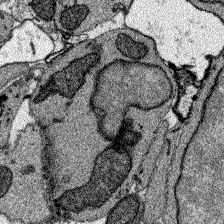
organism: Zebrafish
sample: Larval olfactory bulb